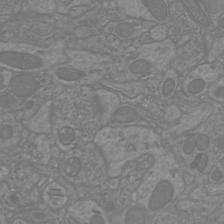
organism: Mouse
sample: Cortical neurons